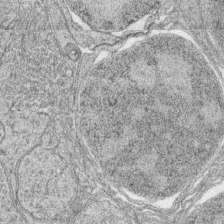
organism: Zebrafish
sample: synaptic ribbons in rod cells and cone cells